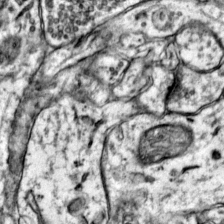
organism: Mouse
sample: Primary visual cortex